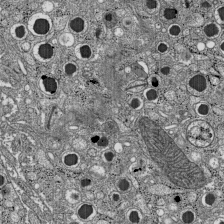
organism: C57BL Mouse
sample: Pancreatic islet